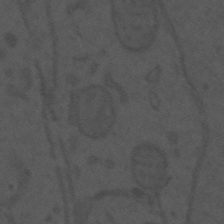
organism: Mouse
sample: Suprachiasmatic nucleus